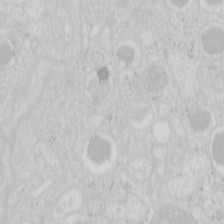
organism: Mouse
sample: Pancreas